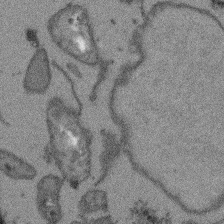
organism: Arabidopsis thaliana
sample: Root tip